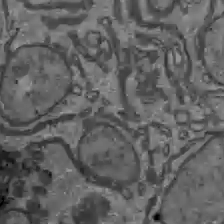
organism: C57BL Mouse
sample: Liver